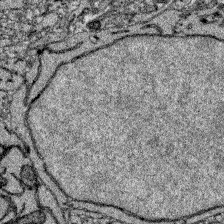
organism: Zebrafish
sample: Larval olfactory bulb